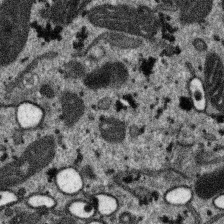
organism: Human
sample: Lung epithelial cells infected with SARS-CoV-2